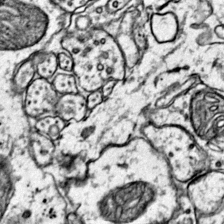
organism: Mouse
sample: Primary visual cortex